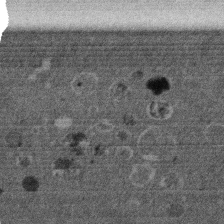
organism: Mouse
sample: Dividing mouse embryo 1 cell stage